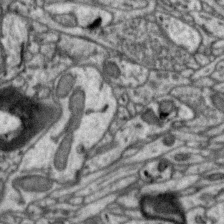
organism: Zebra finch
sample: Brain